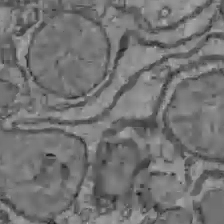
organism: C57BL Mouse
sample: Liver